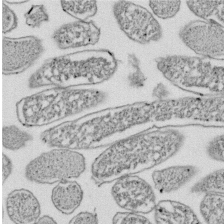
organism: E. coli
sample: Bacterial nucleoid